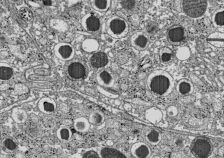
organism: C57BL Mouse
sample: Pancreatic islet